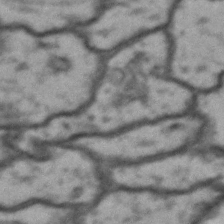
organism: Drosophila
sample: Brain